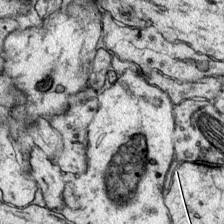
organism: Mouse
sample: Primary visual cortex